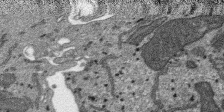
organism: Human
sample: Lung epithelial cells infected with SARS-CoV-2